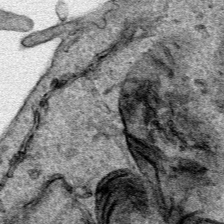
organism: Human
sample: Mitochondria in HCT116 cells